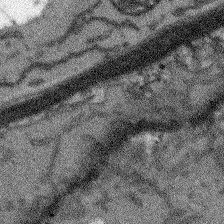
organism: Arabidopsis thaliana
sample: Root tip